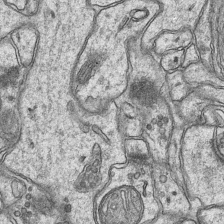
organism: Mouse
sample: CA1 Hippocampus